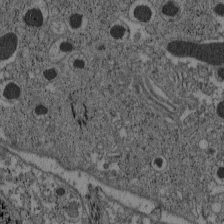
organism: C57BL Mouse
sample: Pancreatic islet